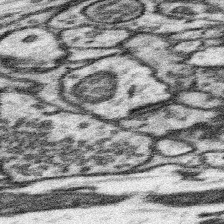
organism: Mouse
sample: Somatosensory cortex neuropil